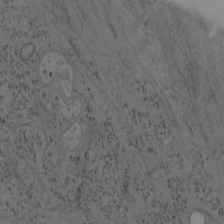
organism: Mouse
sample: OT-I killer T cells with ID8 ovarian cancer cells